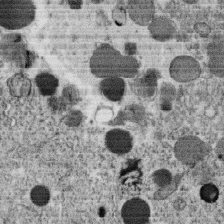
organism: C. elegans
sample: C. elegans oocyte; sperm cells